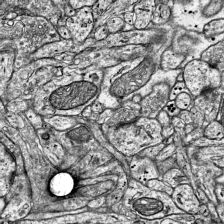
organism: Mouse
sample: Visual Cortex